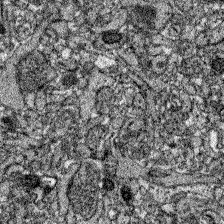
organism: Zebrafish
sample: Larval olfactory bulb